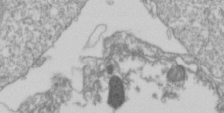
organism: Drosophila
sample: Cell division; meiosis; drosophila spermatocytes